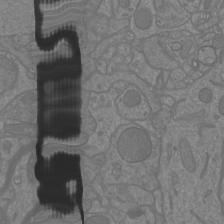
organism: Mouse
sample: Cortical neurons